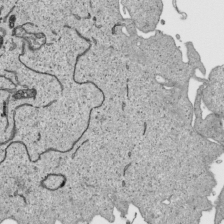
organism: Human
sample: Mitochondria in HCT116 cells